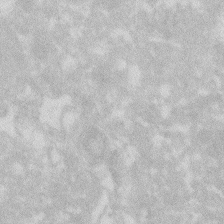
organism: Zebrafish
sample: Macrophage